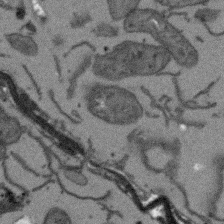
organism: Arabidopsis thaliana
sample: Root tip